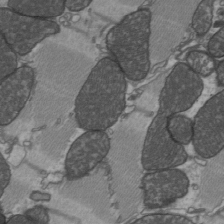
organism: C57BL Mouse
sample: Heart